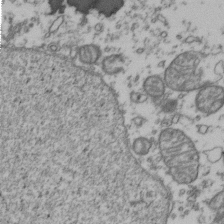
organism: Human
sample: Activated Jurkat CD4+ T cells